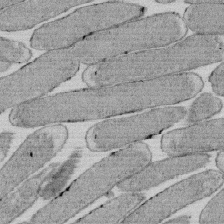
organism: E. coli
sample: Bacterial nucleoid